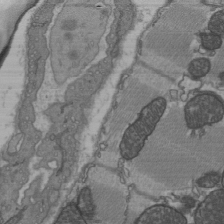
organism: C57BL Mouse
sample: Heart